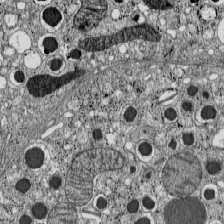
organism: C57BL Mouse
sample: Pancreatic islet